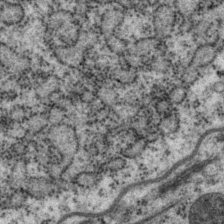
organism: P. pacificus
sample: Pharynx